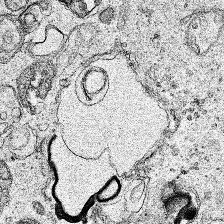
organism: Human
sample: Mitochondria in HCT116 cells